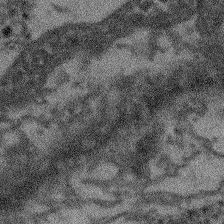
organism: Arabidopsis thaliana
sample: Root tip